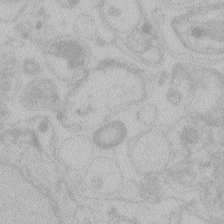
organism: Zebrafish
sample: Macrophage infected with Toxoplasma gondii